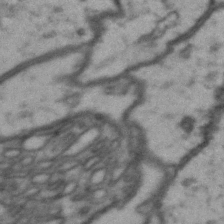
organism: Drosophila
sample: Brain